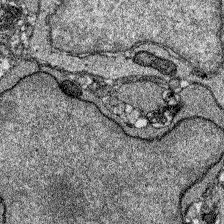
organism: Zebrafish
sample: Larval olfactory bulb